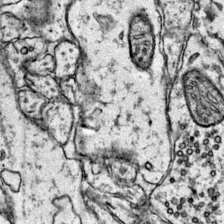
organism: Mouse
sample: Primary visual cortex